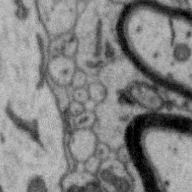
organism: Zebra finch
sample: Brain